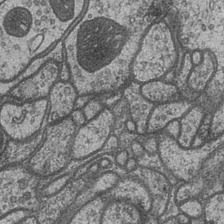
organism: Drosophila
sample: Optic medulla